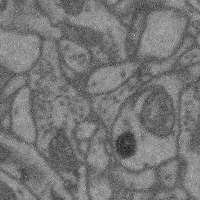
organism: Mouse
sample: Cerebral cortex